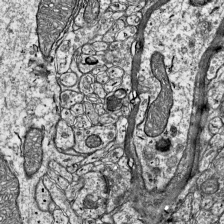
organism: Mouse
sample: Visual Cortex